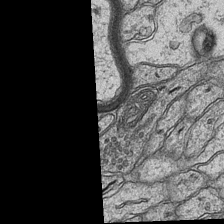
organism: Mouse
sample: CA1 Hippocampus